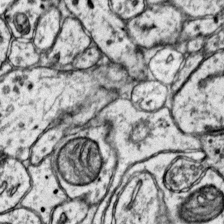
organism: Mouse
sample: Primary visual cortex